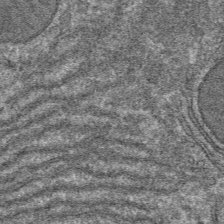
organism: Mouse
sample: Mouse hepatocytes